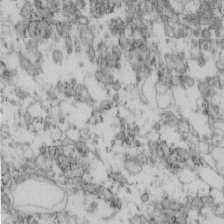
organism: Mouse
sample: Cilia; retinal pigment epithelium